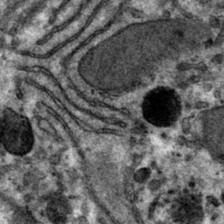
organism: Mouse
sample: Mouse hepatocytes